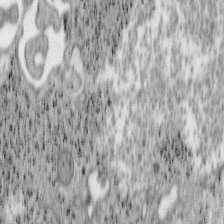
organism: Human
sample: HeLa cells